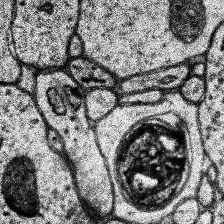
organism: Human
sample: Temporal Lobe